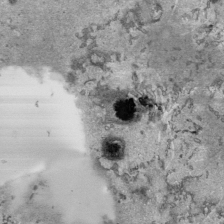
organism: Human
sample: Mitochondria in HCT116 cells